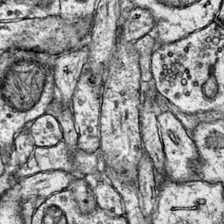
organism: Mouse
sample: Primary visual cortex